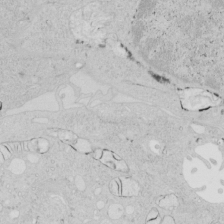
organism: Human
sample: Mitochondria in HCT116 cells